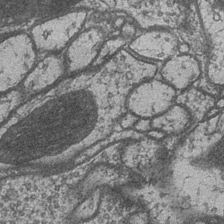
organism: Drosophila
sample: Optic medulla